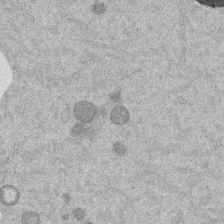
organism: Mouse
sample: Dividing mouse embryo 1 cell stage